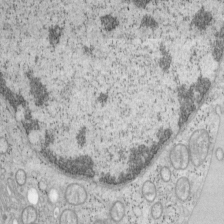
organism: Mouse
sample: OT-I killer T cells with ID8 ovarian cancer cells